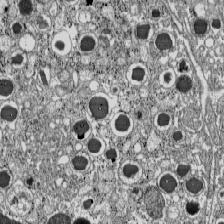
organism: C57BL Mouse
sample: Pancreatic islet